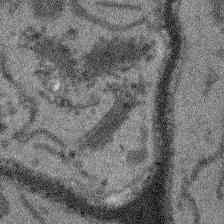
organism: Arabidopsis thaliana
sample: Root tip